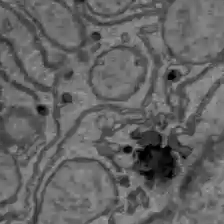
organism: C57BL Mouse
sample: Liver